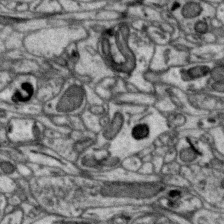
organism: Zebra finch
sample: Brain